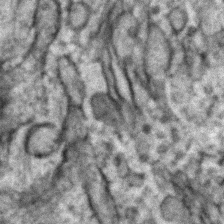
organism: Zebrafish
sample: Zebrafish embryo